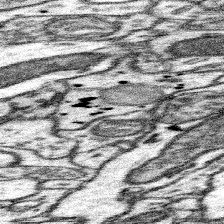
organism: Mouse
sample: Somatosensory cortex neuropil